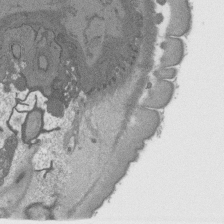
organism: C. elegans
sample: AFD neurons C. elegans